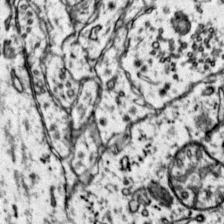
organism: Mouse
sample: Primary visual cortex